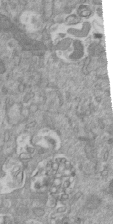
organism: Mouse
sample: ED-1 cell nuclei; centrioles